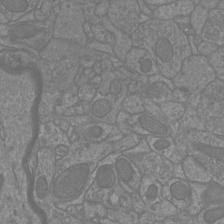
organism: Mouse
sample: Cortical neurons